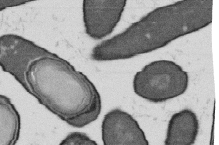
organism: B. subtilis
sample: Bacterial spore